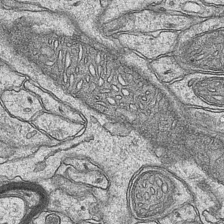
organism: Mouse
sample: CA1 Hippocampus